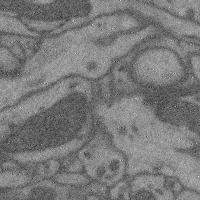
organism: Mouse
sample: Cerebral cortex